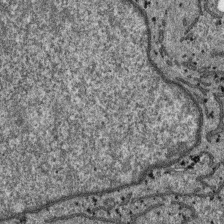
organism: Human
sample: Lung epithelial cells infected with SARS-CoV-2